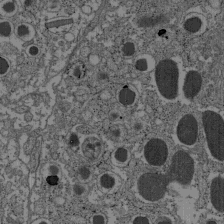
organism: C57BL Mouse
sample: Pancreatic islet